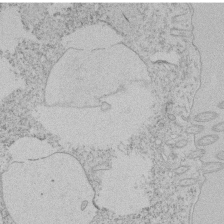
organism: Tetrahymena